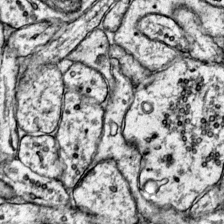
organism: Mouse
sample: Primary visual cortex